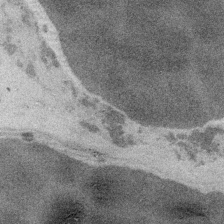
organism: Embia sp.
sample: Silk gland